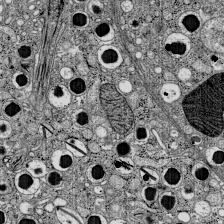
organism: C57BL Mouse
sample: Pancreatic islet